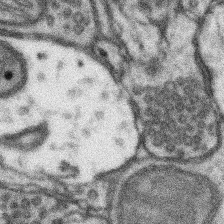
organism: Mouse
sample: Somatosensory cortex neuropil